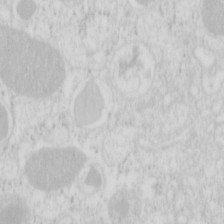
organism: Mouse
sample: Pancreas